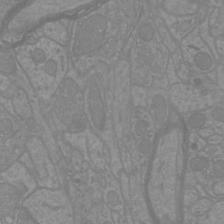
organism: Mouse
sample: Cortical neurons